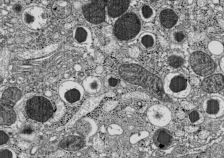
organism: C57BL Mouse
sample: Pancreatic islet